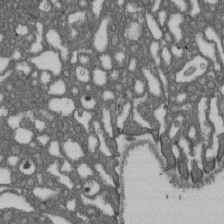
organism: Drosophila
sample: Nephrocyte